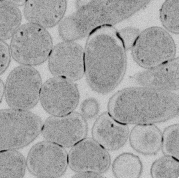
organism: E. coli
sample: Bacterial nucleoid